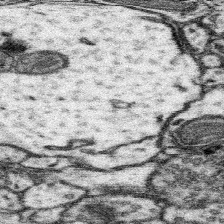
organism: Mouse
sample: Somatosensory cortex neuropil